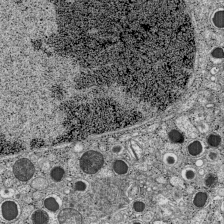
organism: C57BL Mouse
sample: Pancreatic islet